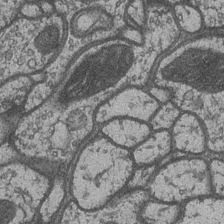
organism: Drosophila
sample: Optic medulla